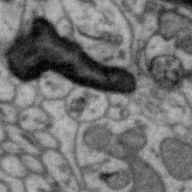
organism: Zebra finch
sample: Brain